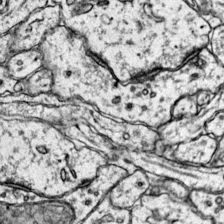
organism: Mouse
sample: Primary visual cortex